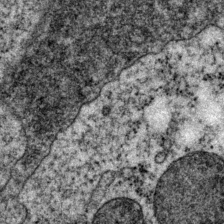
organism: P. pacificus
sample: Pharynx